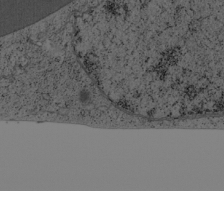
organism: African green monkey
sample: COS-7 cells